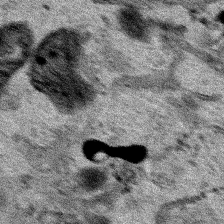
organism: Human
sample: Mitochondria in HCT116 cells